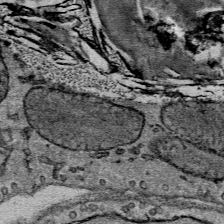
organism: Mouse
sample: Mouse Salivary gland